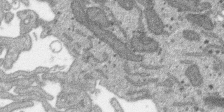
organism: Human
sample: Lung epithelial cells infected with SARS-CoV-2